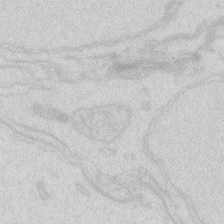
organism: Zebrafish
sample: Macrophage